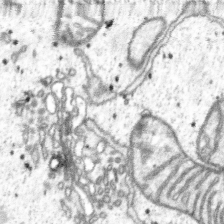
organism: Human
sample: HeLa cells